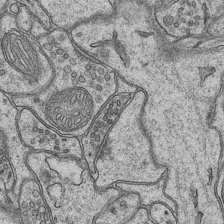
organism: Mouse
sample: CA1 Hippocampus